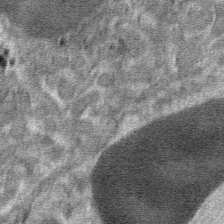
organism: Mouse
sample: Mouse hepatocytes